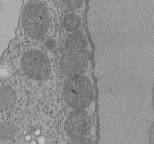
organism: Tetrahymena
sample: Cilia in tetrahymena